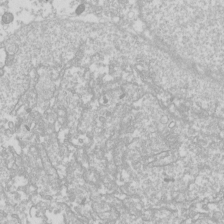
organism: Drosophila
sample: Cell division; meiosis; drosophila spermatocytes